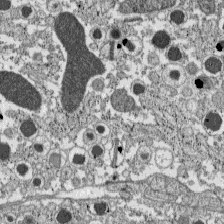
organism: C57BL Mouse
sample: Pancreatic islet